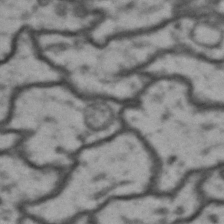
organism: Drosophila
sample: Brain